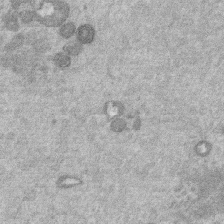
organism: Mouse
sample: Dividing mouse embryo 1 cell stage